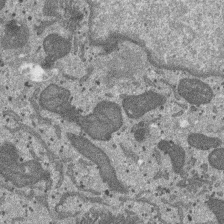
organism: Human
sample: Lung epithelial cells infected with SARS-CoV-2